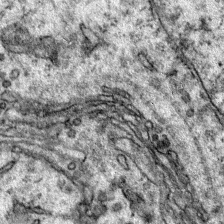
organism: Mouse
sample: Primary visual cortex